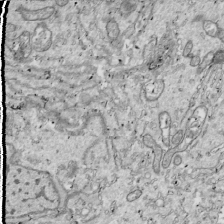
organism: Drosophila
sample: Cell division; meiosis; drosophila spermatocytes